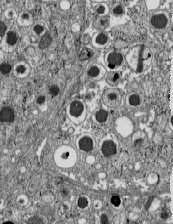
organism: C57BL Mouse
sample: Pancreatic islet